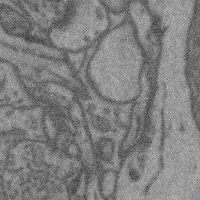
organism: Mouse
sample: Cerebral cortex